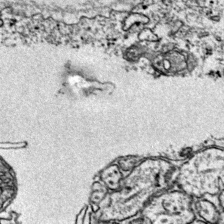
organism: Mouse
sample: Primary visual cortex